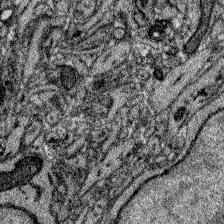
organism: Zebrafish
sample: Larval olfactory bulb